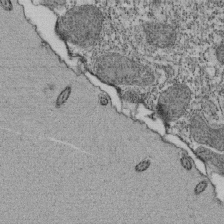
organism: Tetrahymena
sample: Cilia in tetrahymena